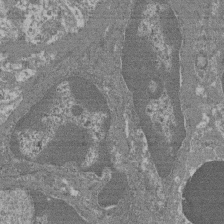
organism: Mouse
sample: Glomerulus